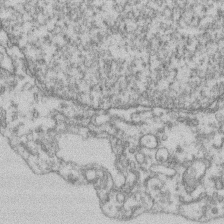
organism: Mouse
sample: T cell stromal cell synapse